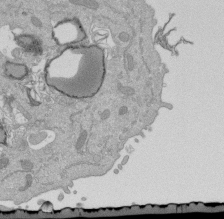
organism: Mouse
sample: ED-1 cell nuclei; centrioles